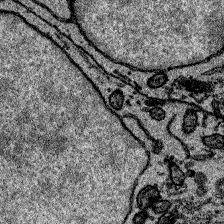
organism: Zebrafish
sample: Larval olfactory bulb